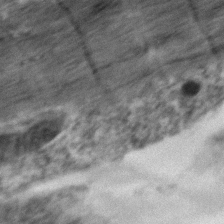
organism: Zebrafish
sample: Zebrafish embryo